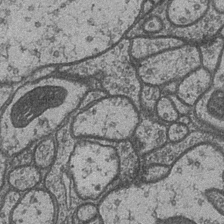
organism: Drosophila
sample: Optic medulla